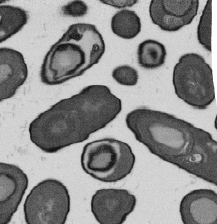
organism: B. subtilis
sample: Bacterial spore